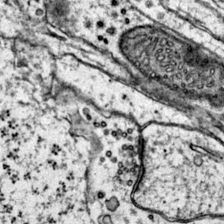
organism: Mouse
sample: Primary visual cortex